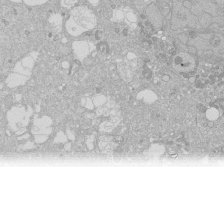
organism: Human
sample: Caco-2 cells